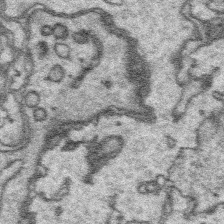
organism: Platynereis dumerilii